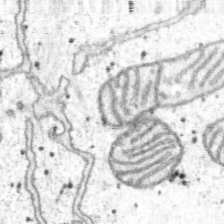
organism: Human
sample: HeLa cells